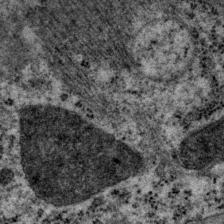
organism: P. pacificus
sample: Pharynx